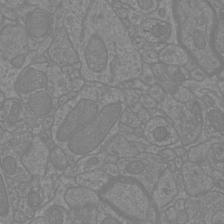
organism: Mouse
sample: Cortical neurons